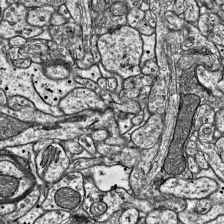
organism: Mouse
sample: Visual Cortex